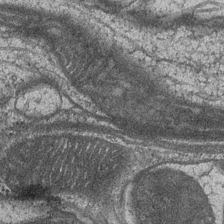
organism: Drosophila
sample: Optic medulla